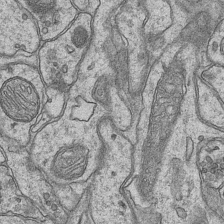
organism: Mouse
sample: CA1 Hippocampus